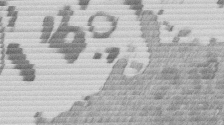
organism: Mouse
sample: Dividing mouse embryo 1 cell stage